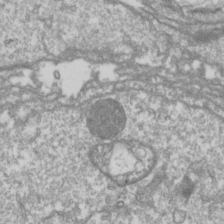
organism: Drosophila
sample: Cell division; meiosis; drosophila spermatocytes